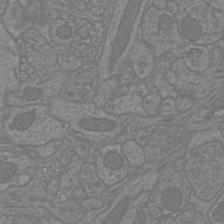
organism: Mouse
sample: Cortical neurons